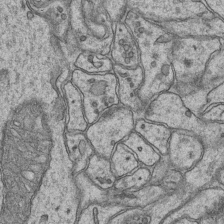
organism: Mouse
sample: CA1 Hippocampus